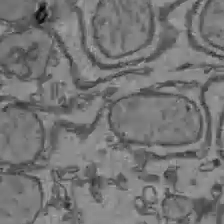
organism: C57BL Mouse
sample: Liver